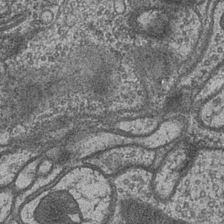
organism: Drosophila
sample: Optic medulla